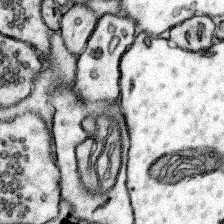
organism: Mouse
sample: Somatosensory cortex neuropil